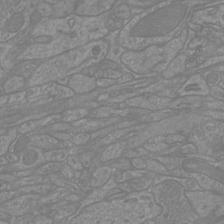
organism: Mouse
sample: Cortical neurons